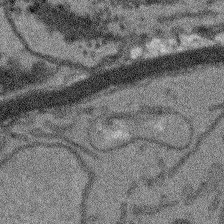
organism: Arabidopsis thaliana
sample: Root tip